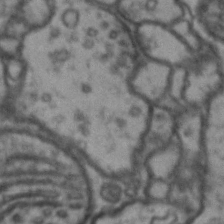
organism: Drosophila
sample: Brain